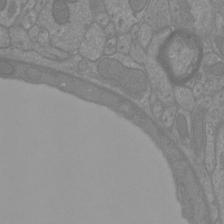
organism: Mouse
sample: Cortical neurons